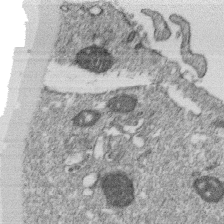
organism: African green monkey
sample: Vero E6 cells infected with SARS-CoV-2